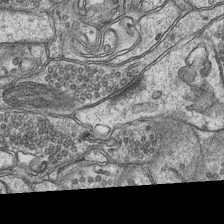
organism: Mouse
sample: CA1 Hippocampus